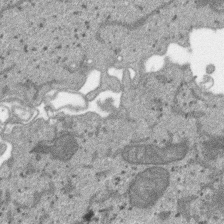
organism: Human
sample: Lung epithelial cells infected with SARS-CoV-2